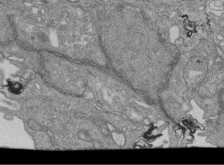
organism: Human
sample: Retinal organoid Rod and Cone cells